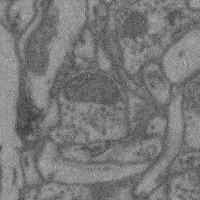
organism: Mouse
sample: Cerebral cortex